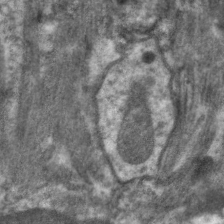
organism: C. elegans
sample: Pharynx